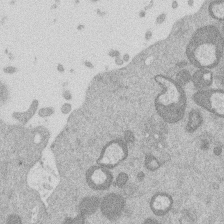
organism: Mouse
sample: Dividing mouse embryo 1 cell stage